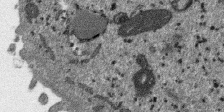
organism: Human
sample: Lung epithelial cells infected with SARS-CoV-2